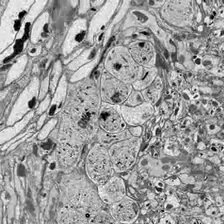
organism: Drosophila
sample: Optic lobe